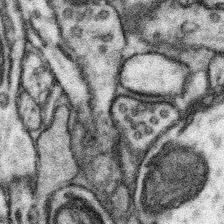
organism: Mouse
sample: Somatosensory cortex neuropil